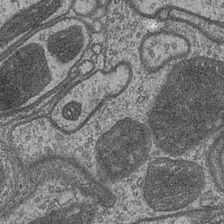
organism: Drosophila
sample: Optic medulla